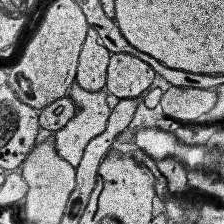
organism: Human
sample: Temporal Lobe